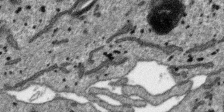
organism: Human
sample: Lung epithelial cells, uninfected (mock) control